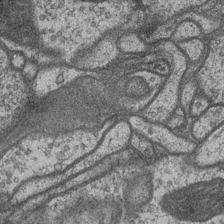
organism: Drosophila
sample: Optic medulla